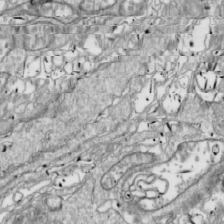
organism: Drosophila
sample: Cell division; meiosis; drosophila spermatocytes